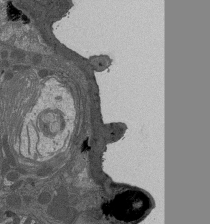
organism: Drosophila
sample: Antenna